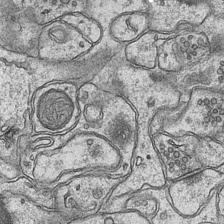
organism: Mouse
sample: CA1 Hippocampus